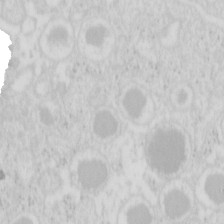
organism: Mouse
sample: Pancreas